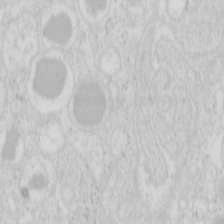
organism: Mouse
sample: Pancreas